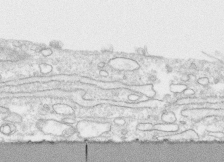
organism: Human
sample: CRL-1474